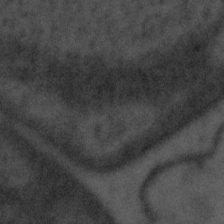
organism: Tuwongella immobilis